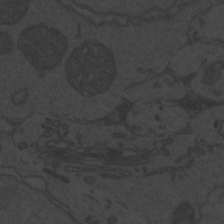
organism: Zebrafish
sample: Macrophage infected with Toxoplasma gondii